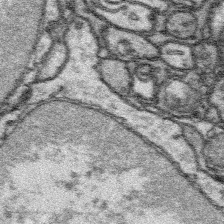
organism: Platynereis dumerilii